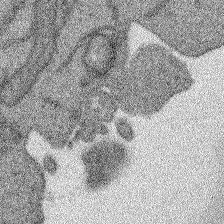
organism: Human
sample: HeLa cells